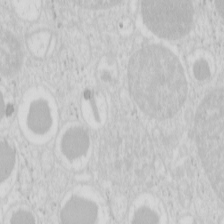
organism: Mouse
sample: Pancreas